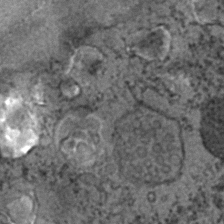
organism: C. elegans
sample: C. elegans embryo